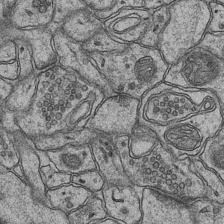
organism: Mouse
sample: CA1 Hippocampus